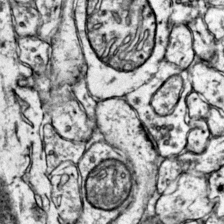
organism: Mouse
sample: Primary visual cortex